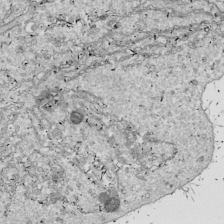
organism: Drosophila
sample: Cell division; meiosis; drosophila spermatocytes